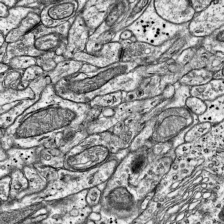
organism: Mouse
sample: Visual Cortex